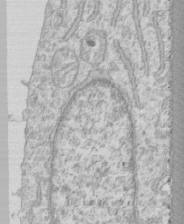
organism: Human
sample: CRL-1474